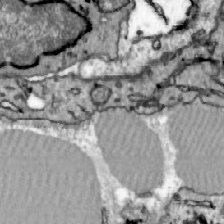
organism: Zebrafish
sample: Actinotrichia fibers